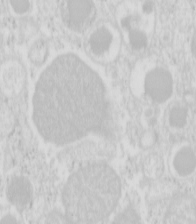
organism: Mouse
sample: Pancreas